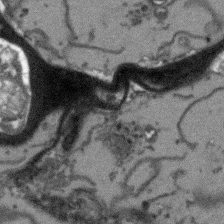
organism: Arabidopsis thaliana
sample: Root tip